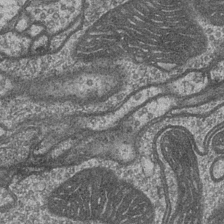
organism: Drosophila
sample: Optic medulla